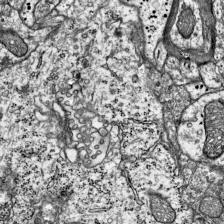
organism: Mouse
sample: Visual Cortex